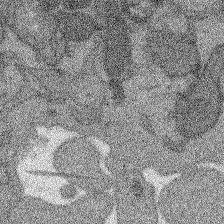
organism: Human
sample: HeLa cells